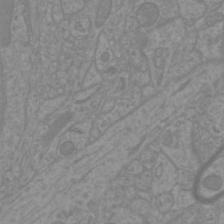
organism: Mouse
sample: Cortical neurons